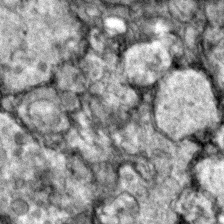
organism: Zebrafish